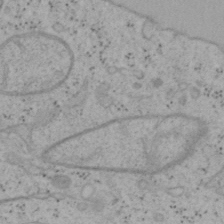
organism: Human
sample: HeLa cells